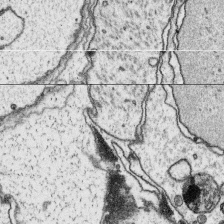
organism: Platynereis dumerilii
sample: Parapodia